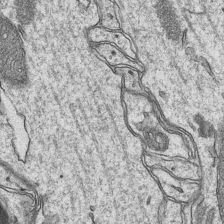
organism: Mouse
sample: CA1 Hippocampus